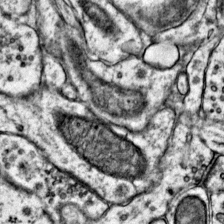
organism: Mouse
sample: Primary visual cortex